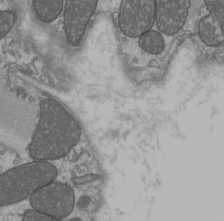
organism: C57BL Mouse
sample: Heart